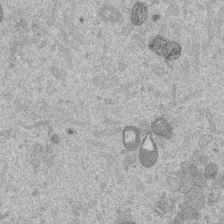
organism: Mouse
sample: Dividing mouse embryo 1 cell stage